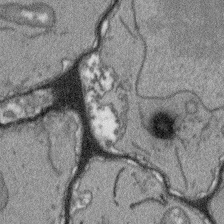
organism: Arabidopsis thaliana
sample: Root tip